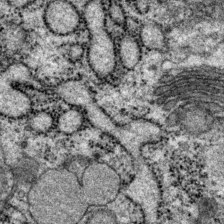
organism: P. pacificus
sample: Pharynx